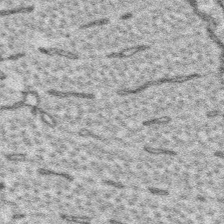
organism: Platynereis dumerilii